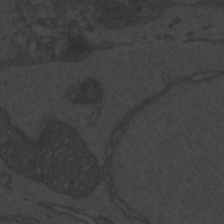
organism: Zebrafish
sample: Macrophage infected with Toxoplasma gondii